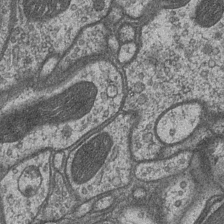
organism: Drosophila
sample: Optic medulla